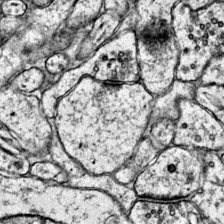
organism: Mouse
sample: Primary visual cortex